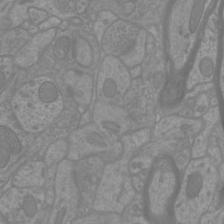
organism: Mouse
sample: Cortical neurons